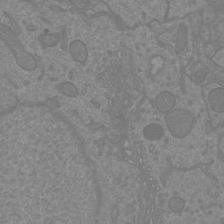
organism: Mouse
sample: Cortical neurons